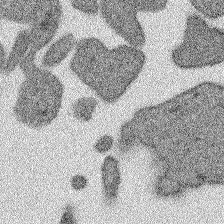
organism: Human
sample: HeLa cells